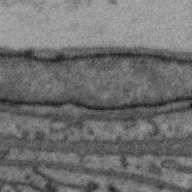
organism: Zebra finch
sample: Brain